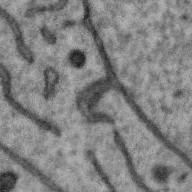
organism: Zebra finch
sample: Brain